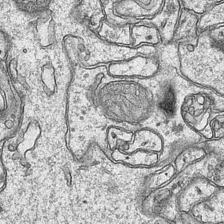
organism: Mouse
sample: CA1 Hippocampus